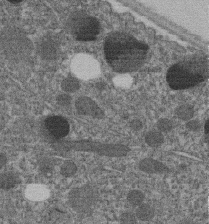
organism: C. elegans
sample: C. elegans embryo early stage